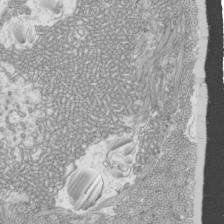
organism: Mouse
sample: Cilia; mouse epididymis